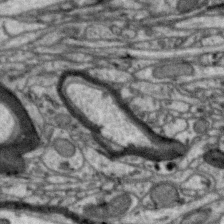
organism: Zebra finch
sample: Brain